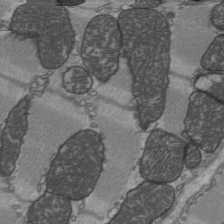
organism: C57BL Mouse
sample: Heart